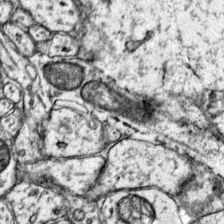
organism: Mouse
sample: Primary visual cortex